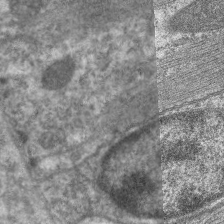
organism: C. elegans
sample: Pharynx